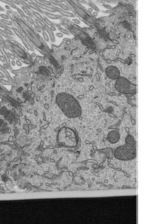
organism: Mouse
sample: Mouse epididymis efferent ductule cilia